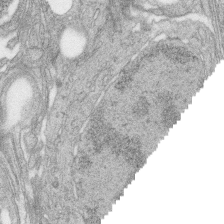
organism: Zebrafish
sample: synaptic ribbons in rod cells and cone cells